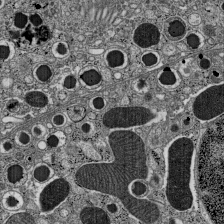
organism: C57BL Mouse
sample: Pancreatic islet